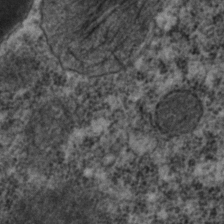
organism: C. elegans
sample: C. elegans embryo